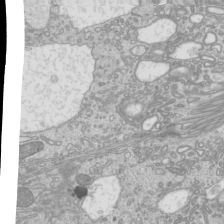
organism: Mouse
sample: Cilia; mouse epididymis